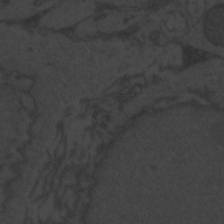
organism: Zebrafish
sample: Macrophage infected with Toxoplasma gondii